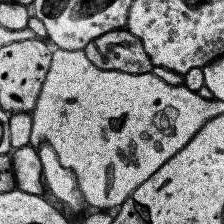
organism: Human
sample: Temporal Lobe